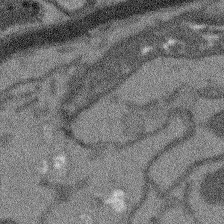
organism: Arabidopsis thaliana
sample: Root tip